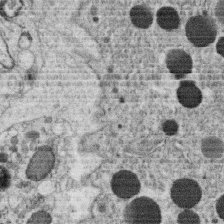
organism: C. elegans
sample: C. elegans oocyte; sperm cells